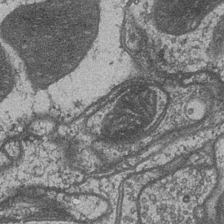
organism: Drosophila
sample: Optic medulla